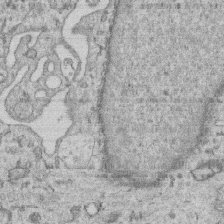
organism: Human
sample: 1205lu cells